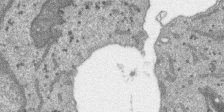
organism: Human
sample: Lung epithelial cells infected with SARS-CoV-2